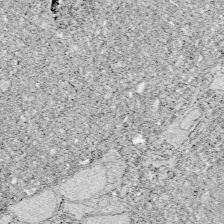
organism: Zebrafish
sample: Whole-Brain